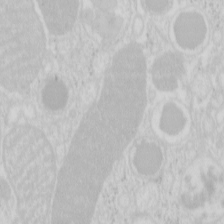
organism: Mouse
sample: Pancreas